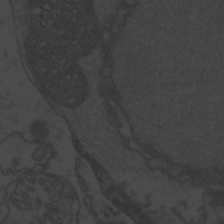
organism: Zebrafish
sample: Macrophage infected with Toxoplasma gondii